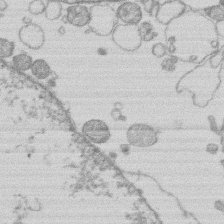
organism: Human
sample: Macrophage cells